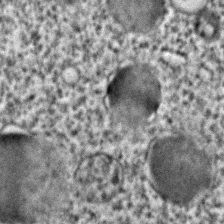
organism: C. elegans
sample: C. elegans embryo